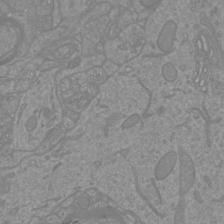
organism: Mouse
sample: Cortical neurons